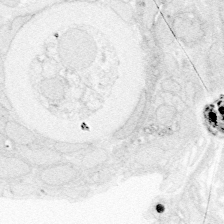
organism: Zebrafish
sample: Whole-Brain